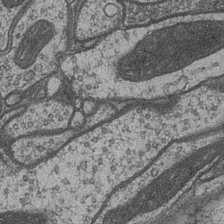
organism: Drosophila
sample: Optic medulla